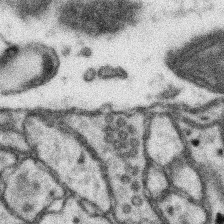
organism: Mouse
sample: Somatosensory cortex neuropil